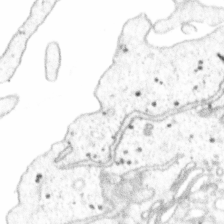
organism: Human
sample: HeLa cells